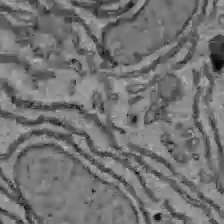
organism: C57BL Mouse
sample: Liver